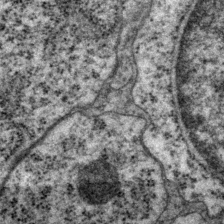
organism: P. pacificus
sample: Pharynx